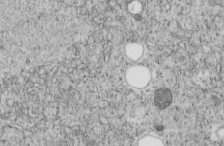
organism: C. elegans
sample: C. elegans embryo early stage